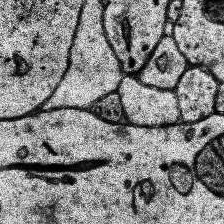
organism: Human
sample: Temporal Lobe